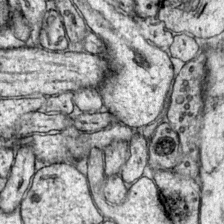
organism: Mouse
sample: Primary visual cortex